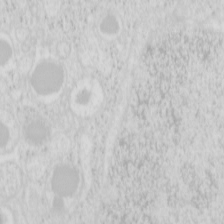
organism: Mouse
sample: Pancreas